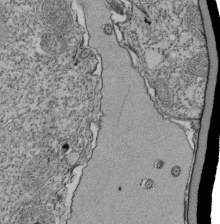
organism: Tetrahymena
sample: Cilia in tetrahymena